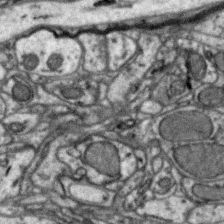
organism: Zebra finch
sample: Brain